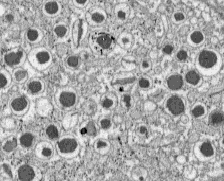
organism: C57BL Mouse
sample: Pancreatic islet